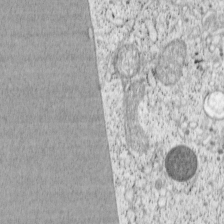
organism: African green monkey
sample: COS-7 cells